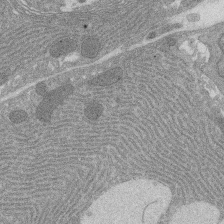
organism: Rat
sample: Salivary granule